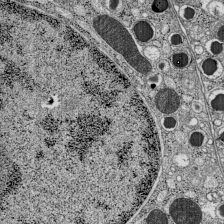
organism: C57BL Mouse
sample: Pancreatic islet